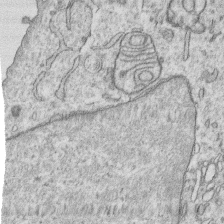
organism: Human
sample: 1205lu cells